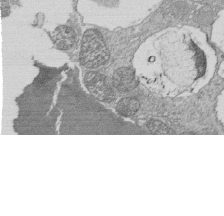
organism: Tetrahymena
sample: Cilia in tetrahymena